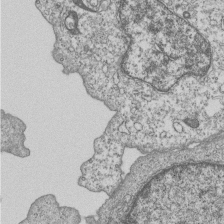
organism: Human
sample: MDA-MB-231 cells